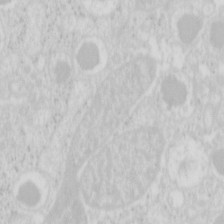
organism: Mouse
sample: Pancreas